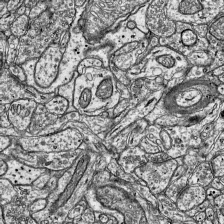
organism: Mouse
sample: Visual Cortex